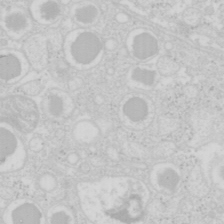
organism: Mouse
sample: Pancreas